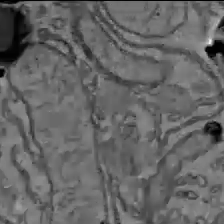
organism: C57BL Mouse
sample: Liver